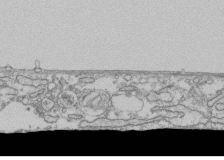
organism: Human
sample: Fibroblast cells